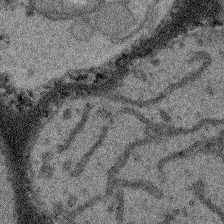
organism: Arabidopsis thaliana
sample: Root tip